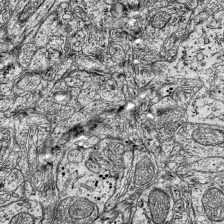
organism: Mouse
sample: Visual Cortex